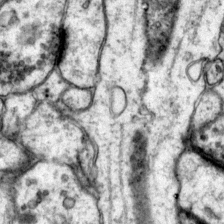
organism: Mouse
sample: Primary visual cortex